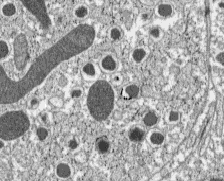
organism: C57BL Mouse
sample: Pancreatic islet